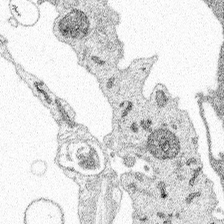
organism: Spongilla lacustris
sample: Multiple